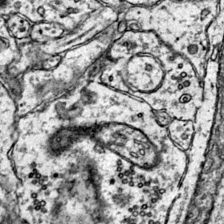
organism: Mouse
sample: Primary visual cortex